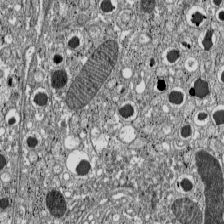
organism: C57BL Mouse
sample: Pancreatic islet